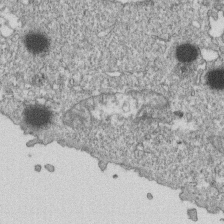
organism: Human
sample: HeLa cell HIV synapse